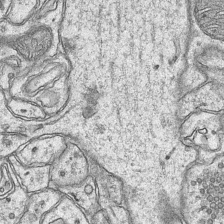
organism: Mouse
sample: CA1 Hippocampus